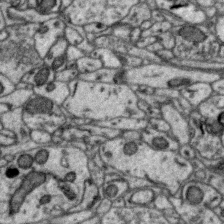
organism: Zebra finch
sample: Brain